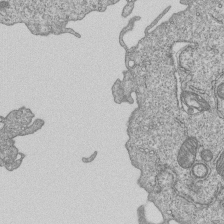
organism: Human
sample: MDA-MB-231 cells